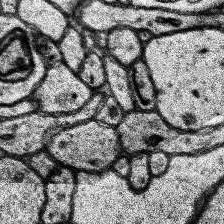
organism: Human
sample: Temporal Lobe